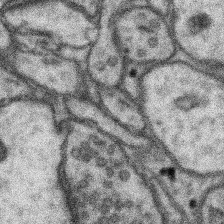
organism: Mouse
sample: Somatosensory cortex neuropil